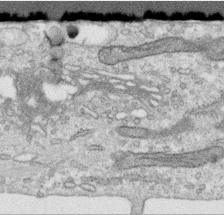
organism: Human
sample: Centriole in RPE cells